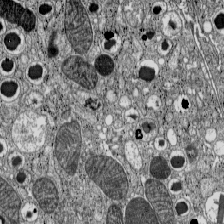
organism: C57BL Mouse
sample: Pancreatic islet